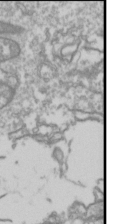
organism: Drosophila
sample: Cell division; meiosis; drosophila spermatocytes